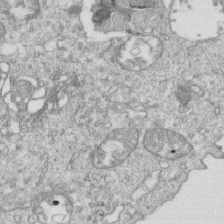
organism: Mouse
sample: Activated OT-1 CD8+ T cells